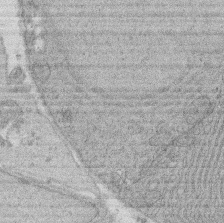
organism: Rat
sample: Salivary granule